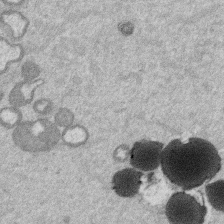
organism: Mouse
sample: Dividing mouse embryo 1 cell stage